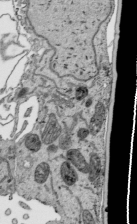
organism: Human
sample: Mitochondria in HCT116 cells